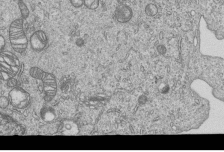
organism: Human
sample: MDA-MB-231 cells